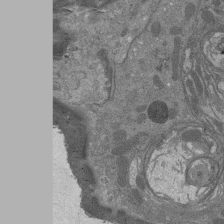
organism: Drosophila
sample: Antenna